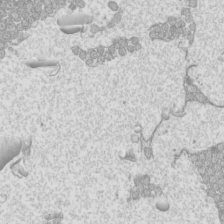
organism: Mouse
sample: Cilia; mouse epididymis